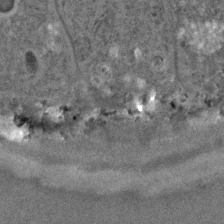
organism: C. elegans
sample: C. elegans embryo